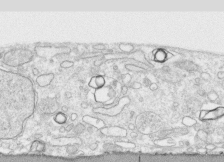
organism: Human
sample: CRL-1474